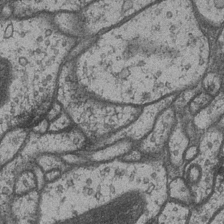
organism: Drosophila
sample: Optic medulla